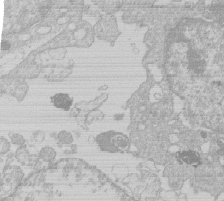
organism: Human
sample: Macrophage cells